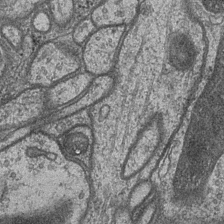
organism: Drosophila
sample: Optic medulla